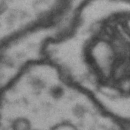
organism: Drosophila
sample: Brain